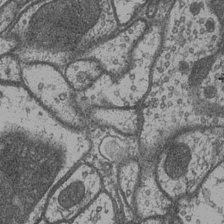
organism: Drosophila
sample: Optic medulla